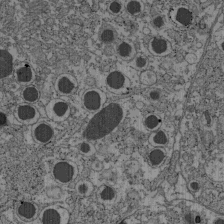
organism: C57BL Mouse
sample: Pancreatic islet